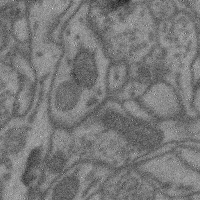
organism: Mouse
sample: Cerebral cortex